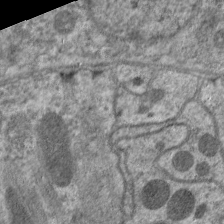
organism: C. elegans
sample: Pharynx